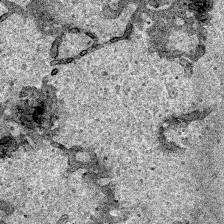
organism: Human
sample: Mitochondria in HCT116 cells